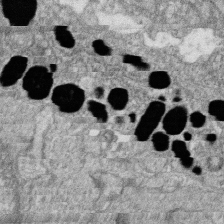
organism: Zebrafish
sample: Cilia; retinal pigment epithelium